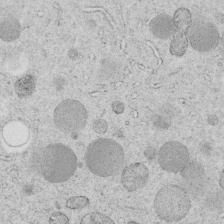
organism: C. elegans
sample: C. elegans embryo early stage